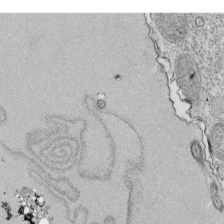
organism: Tetrahymena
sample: Cilia in tetrahymena